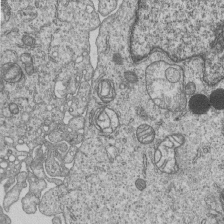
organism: Human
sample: MDA-MB-231 cells